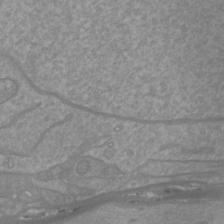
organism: Mouse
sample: Cortical neurons